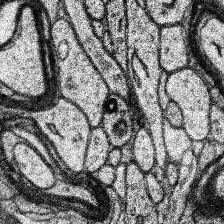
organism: Human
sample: Temporal Lobe